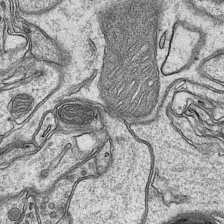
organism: Mouse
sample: CA1 Hippocampus